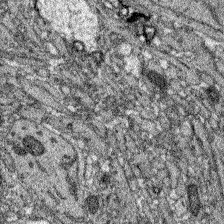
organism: Zebrafish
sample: Larval olfactory bulb